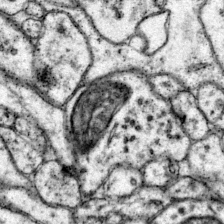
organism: Mouse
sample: Primary visual cortex